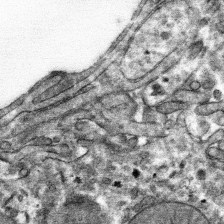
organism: Mouse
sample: Mouse hepatocytes